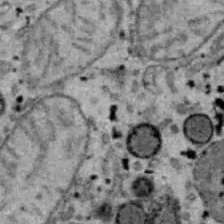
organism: Mouse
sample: Liver from an obese (ob/ob) mouse